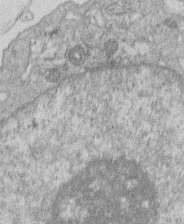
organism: Human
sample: Macrophage cells